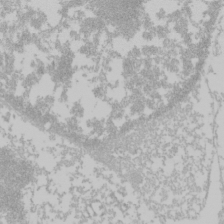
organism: Mouse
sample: Cancer cell death in ED-1 cells